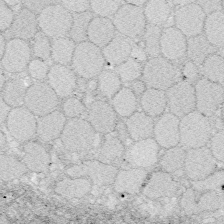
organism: Zebrafish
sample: Whole-Brain